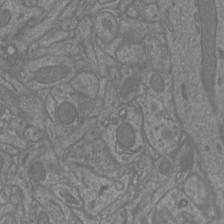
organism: Mouse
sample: Cortical neurons